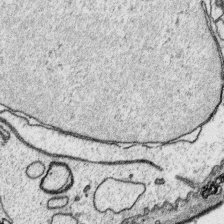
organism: Platynereis dumerilii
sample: Parapodia